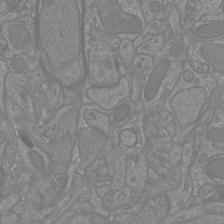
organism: Mouse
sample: Cortical neurons